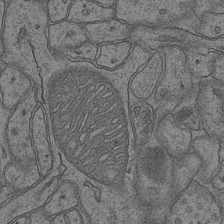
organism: Mouse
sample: CA1 Hippocampus